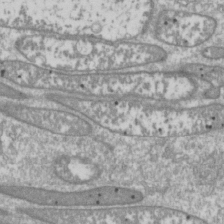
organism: Drosophila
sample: Cell division; meiosis; drosophila spermatocytes